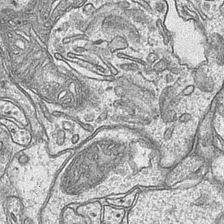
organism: Mouse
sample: CA1 Hippocampus